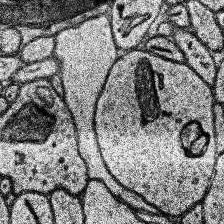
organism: Human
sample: Temporal Lobe